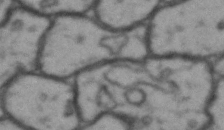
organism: Drosophila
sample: Brain